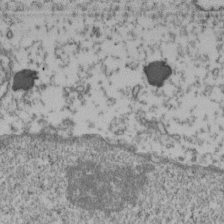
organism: Human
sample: Activated Jurkat CD4+ T cells